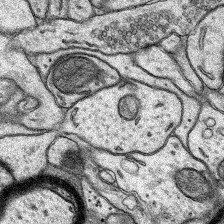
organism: Rat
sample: Hippocampus